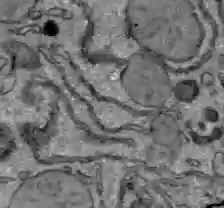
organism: C57BL Mouse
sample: Liver